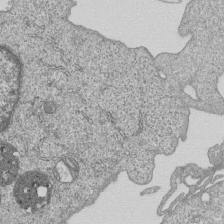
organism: Human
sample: MDA-MB-231 cells